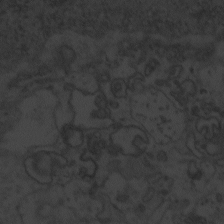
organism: Zebrafish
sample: Macrophage infected with Toxoplasma gondii